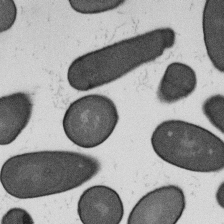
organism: B. subtilis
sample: Bacterial spore